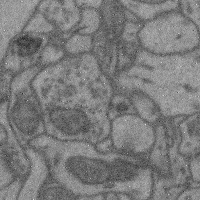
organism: Mouse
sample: Cerebral cortex